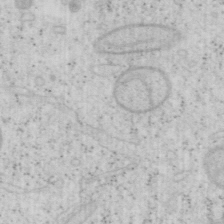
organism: Human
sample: HeLa cells